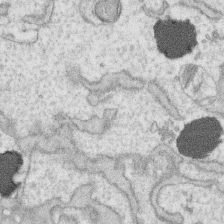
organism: Human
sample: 1205lu cells